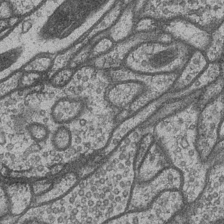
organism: Drosophila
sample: Optic medulla